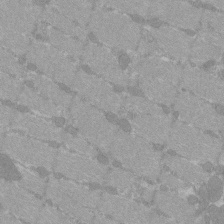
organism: C57BL Mouse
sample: Tibialis anterior muscle cell